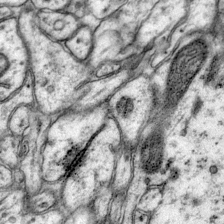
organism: Mouse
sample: Primary visual cortex